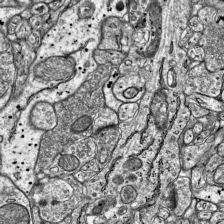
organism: Mouse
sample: Visual Cortex